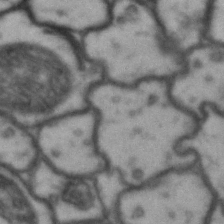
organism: Drosophila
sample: Brain